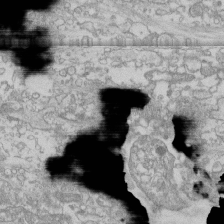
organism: Human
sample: CRL-1474